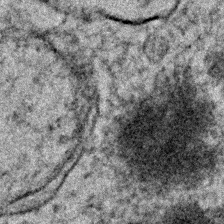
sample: Trachea